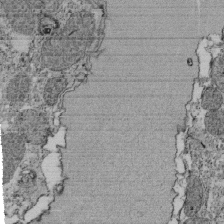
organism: Tetrahymena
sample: Cilia in tetrahymena